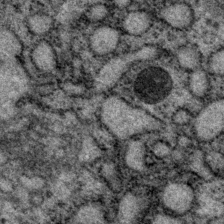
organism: P. pacificus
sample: Pharynx